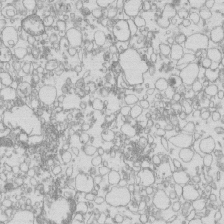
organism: Mouse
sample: Macrophages